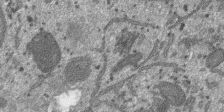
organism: Human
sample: Lung epithelial cells infected with SARS-CoV-2